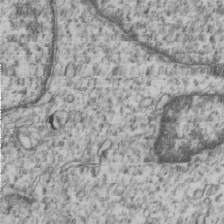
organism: Human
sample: MDA-MB-231 cells